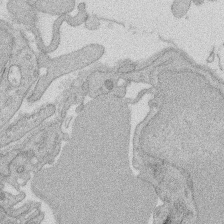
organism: Rat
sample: Salivary granule